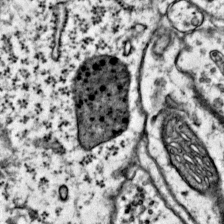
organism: Mouse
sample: Primary visual cortex